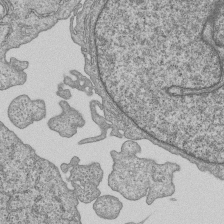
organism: Human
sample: MDA-MB-231 cells